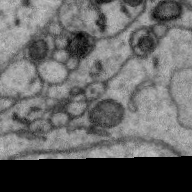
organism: Zebra finch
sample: Brain